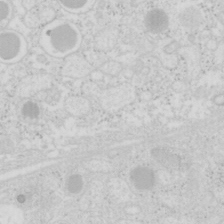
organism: Mouse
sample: Pancreas